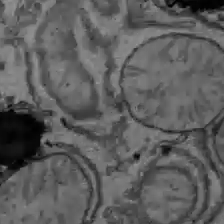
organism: C57BL Mouse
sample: Liver